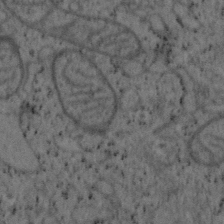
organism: Human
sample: HeLa cells